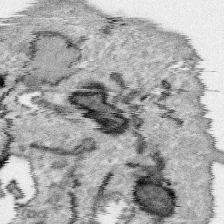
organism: Human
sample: HeLa cells